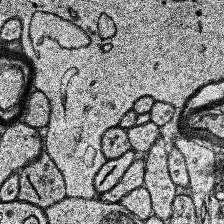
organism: Human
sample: Temporal Lobe